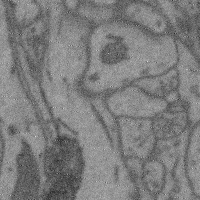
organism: Mouse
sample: Cerebral cortex